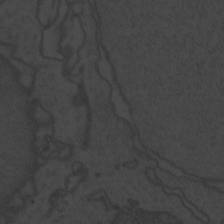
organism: Zebrafish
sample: Macrophage infected with Toxoplasma gondii